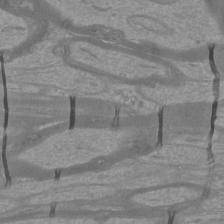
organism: Mouse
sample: Cortical neurons